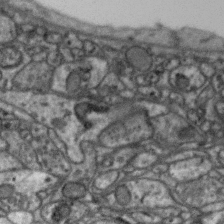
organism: Zebra finch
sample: Brain